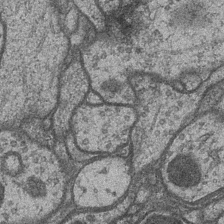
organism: Drosophila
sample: Optic medulla